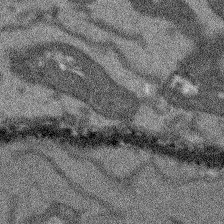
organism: Arabidopsis thaliana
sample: Root tip